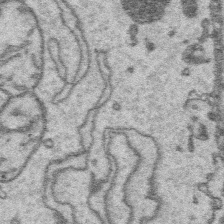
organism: Platynereis dumerilii